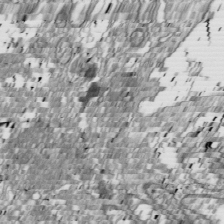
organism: Drosophila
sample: Cell division; meiosis; drosophila spermatocytes